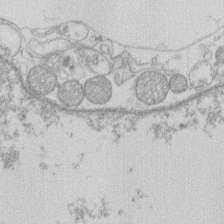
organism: Human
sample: Macrophage cells